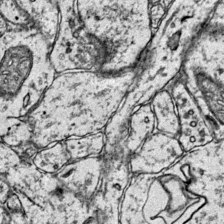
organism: Mouse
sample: Primary visual cortex